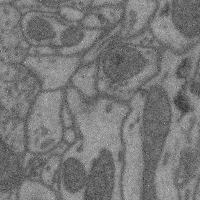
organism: Mouse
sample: Cerebral cortex